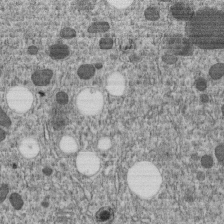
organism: C. elegans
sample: C. elegans embryo early stage